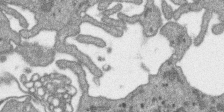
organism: Human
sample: Lung epithelial cells infected with SARS-CoV-2